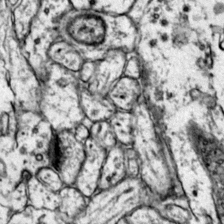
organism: Mouse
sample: Primary visual cortex